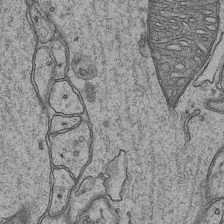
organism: Mouse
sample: CA1 Hippocampus